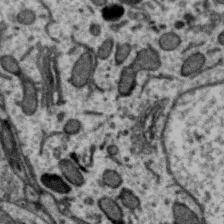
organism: Zebra finch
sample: Brain